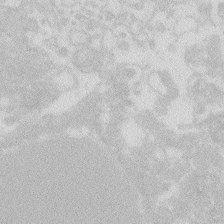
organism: Zebrafish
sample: Macrophage